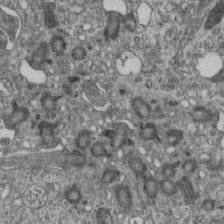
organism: Mouse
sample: Centriole in ependymal cells